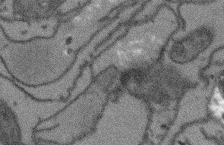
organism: Arabidopsis thaliana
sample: Root tip